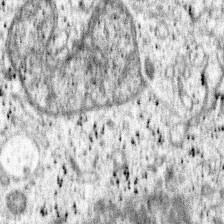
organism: Human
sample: HeLa cells